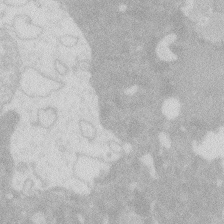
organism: Zebrafish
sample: Macrophage